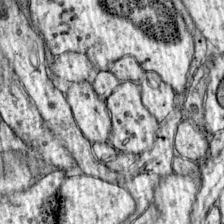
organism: Mouse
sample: Primary visual cortex